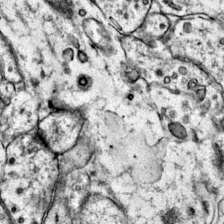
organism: Mouse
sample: Primary visual cortex